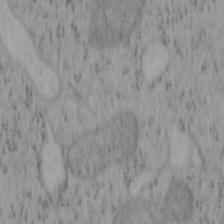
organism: Mouse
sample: OT-I killer T cells with ID8 ovarian cancer cells